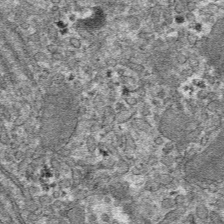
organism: Mouse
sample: Mouse hepatocytes